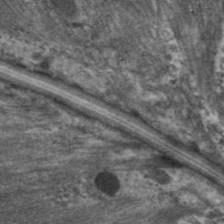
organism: C. elegans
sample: Pharynx